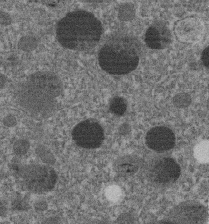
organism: C. elegans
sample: C. elegans embryo early stage